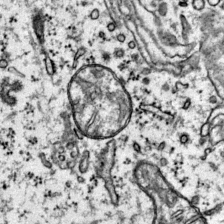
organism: Mouse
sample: Primary visual cortex